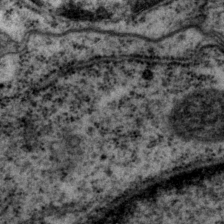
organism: P. pacificus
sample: Pharynx